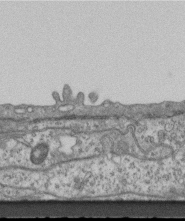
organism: Mouse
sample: Centriole in ependymal cells